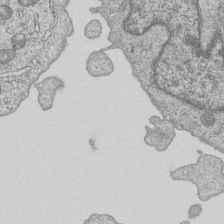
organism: Human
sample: MDA-MB-231 cells